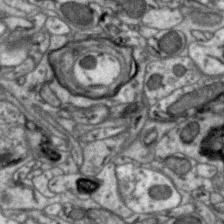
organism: Zebra finch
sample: Brain